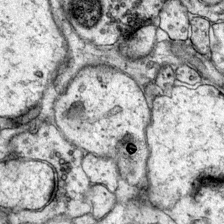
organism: Mouse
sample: Primary visual cortex